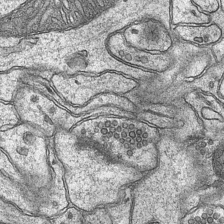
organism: Mouse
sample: CA1 Hippocampus